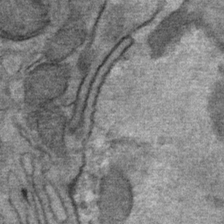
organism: Mouse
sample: Mouse Salivary gland